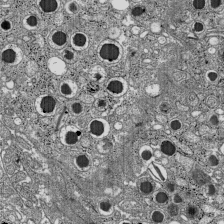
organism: C57BL Mouse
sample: Pancreatic islet